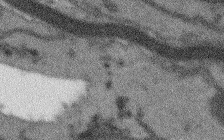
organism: Arabidopsis thaliana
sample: Root tip